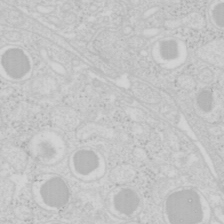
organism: Mouse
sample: Pancreas